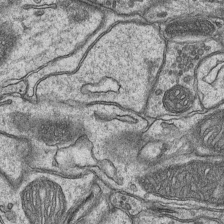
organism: Mouse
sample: CA1 Hippocampus